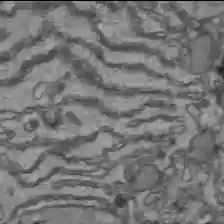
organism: C57BL Mouse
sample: Liver